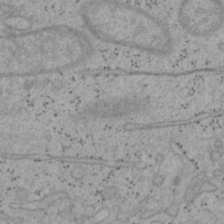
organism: Human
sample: HeLa cells